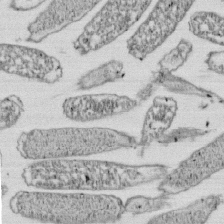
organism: E. coli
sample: Bacterial nucleoid